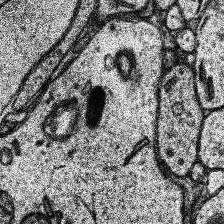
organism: Human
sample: Temporal Lobe